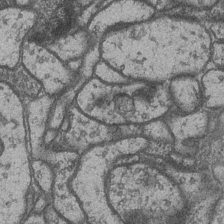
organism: Drosophila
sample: Optic medulla